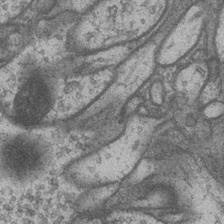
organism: Drosophila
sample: Optic medulla